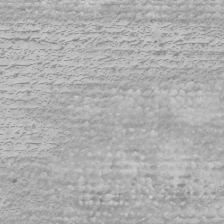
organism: Human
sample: Mitochondria in U2OS cells